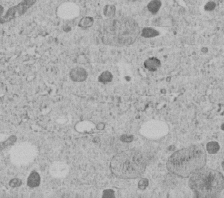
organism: C. elegans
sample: C. elegans embryo early stage